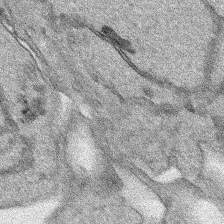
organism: Human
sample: Mitochondria in HCT116 cells